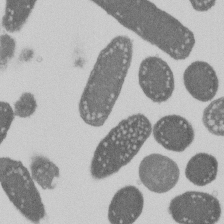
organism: E. coli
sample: Bacterial nucleoid